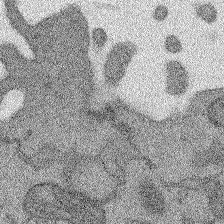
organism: Human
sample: HeLa cells